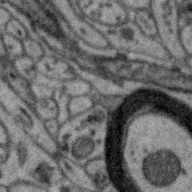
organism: Zebra finch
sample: Brain